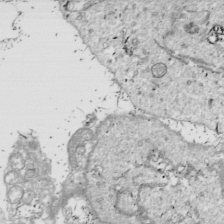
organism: Drosophila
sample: Cell division; meiosis; drosophila spermatocytes